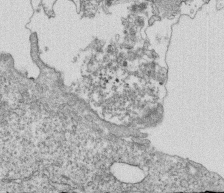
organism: Human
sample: HeLa cell HIV synapse